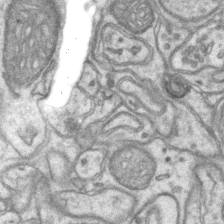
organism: Mouse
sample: CA1 Hippocampus